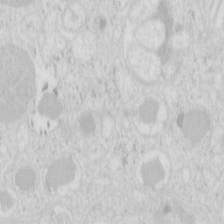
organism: Mouse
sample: Pancreas